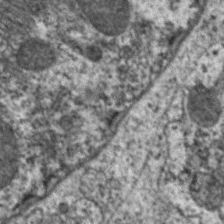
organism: C. elegans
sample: Pharynx